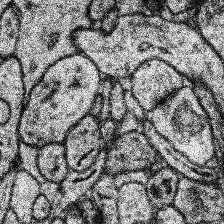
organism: Human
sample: Temporal Lobe